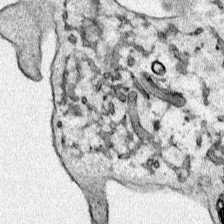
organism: Human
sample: Mitochondria in HCT116 cells